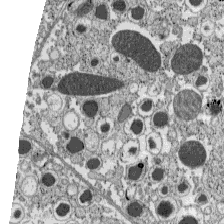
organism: C57BL Mouse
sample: Pancreatic islet